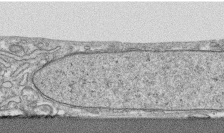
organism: Human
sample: CRL-1474